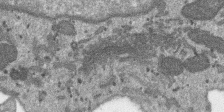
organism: Human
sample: Lung epithelial cells infected with SARS-CoV-2